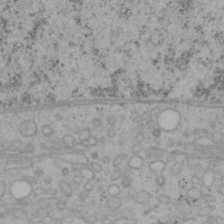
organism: Human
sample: HeLa cells